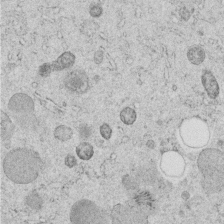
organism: C. elegans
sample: C. elegans embryo early stage